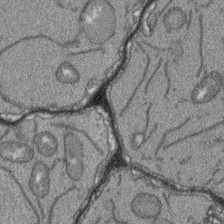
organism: Arabidopsis thaliana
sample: Root tip